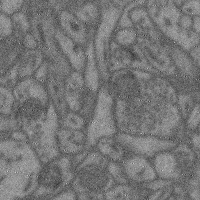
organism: Mouse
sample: Cerebral cortex